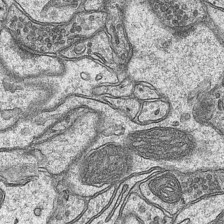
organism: Mouse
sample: CA1 Hippocampus